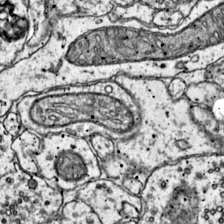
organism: Mouse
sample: Primary visual cortex